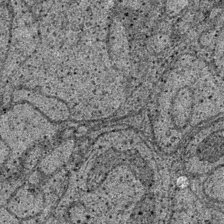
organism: Drosophila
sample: Optic medulla